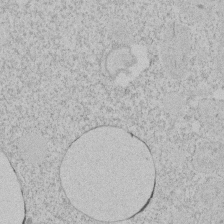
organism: Tetrahymena